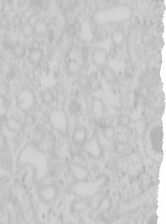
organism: Mouse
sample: Pancreas